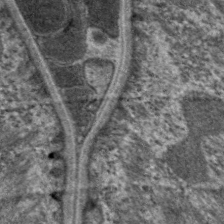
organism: C. elegans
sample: Pharynx